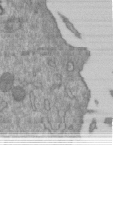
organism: Mouse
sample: ED-1 cell nuclei; centrioles